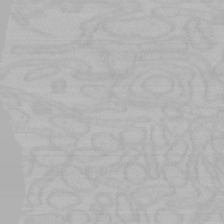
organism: Mouse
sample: Choroid plexus